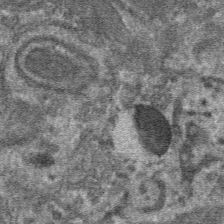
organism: Mouse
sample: Mouse hepatocytes